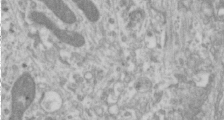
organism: Human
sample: Cilia; basal body in RPE cells